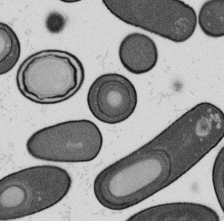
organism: B. subtilis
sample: Bacterial spore